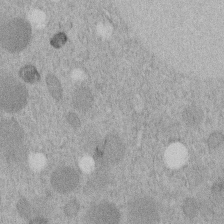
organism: C. elegans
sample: C. elegans embryo early stage